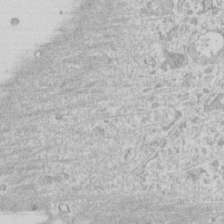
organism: Human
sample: Fibroblast cells